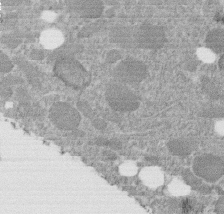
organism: C. elegans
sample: C. elegans embryo early stage